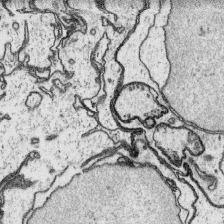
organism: Platynereis dumerilii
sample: Parapodia